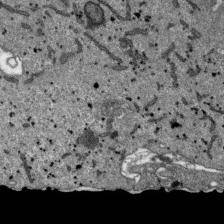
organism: Human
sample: Lung epithelial cells, uninfected (mock) control